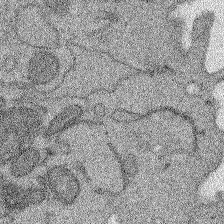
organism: Human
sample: HeLa cells